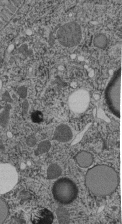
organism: C. elegans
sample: C. elegans pharynx